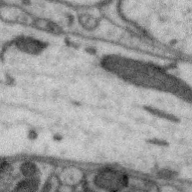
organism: Zebra finch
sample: Brain